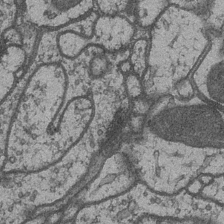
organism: Drosophila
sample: Optic medulla